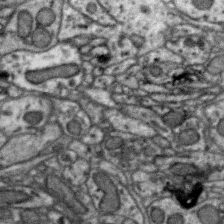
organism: Zebra finch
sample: Brain